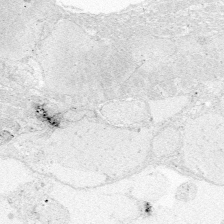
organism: Zebrafish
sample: Whole-Brain